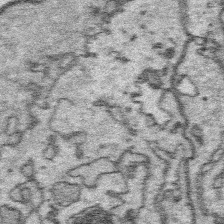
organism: Platynereis dumerilii